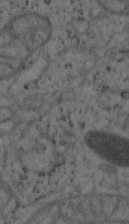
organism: Human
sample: HeLa cells